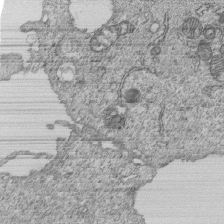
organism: Human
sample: MDA-MB-231 cells